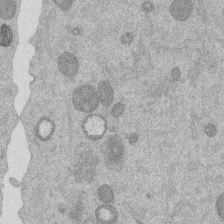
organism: Mouse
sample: Dividing mouse embryo 1 cell stage